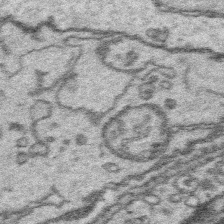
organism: Platynereis dumerilii